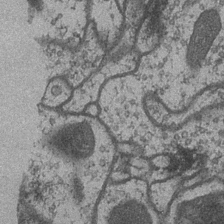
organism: Drosophila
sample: Optic medulla